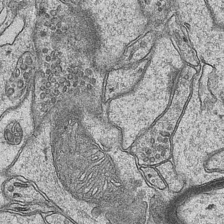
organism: Mouse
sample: CA1 Hippocampus